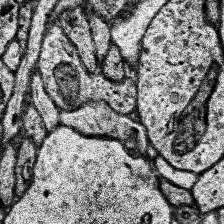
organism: Human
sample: Temporal Lobe